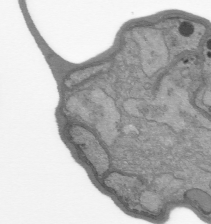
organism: Plasmodium falciparum